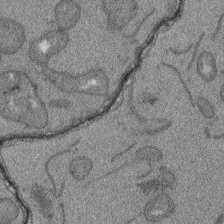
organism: Arabidopsis thaliana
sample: Root tip